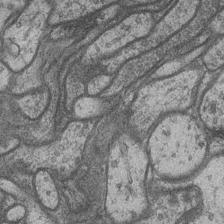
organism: Drosophila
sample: Optic medulla